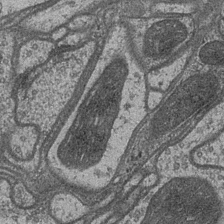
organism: Drosophila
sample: Optic medulla